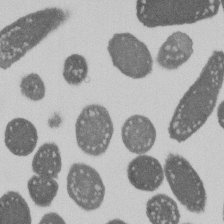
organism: E. coli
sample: Bacterial nucleoid